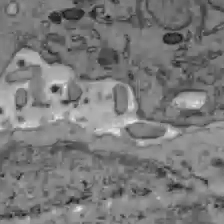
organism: C57BL Mouse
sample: Liver